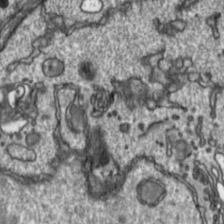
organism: Toxoplasma gondii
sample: Parasites in a vacuole inside a host cell